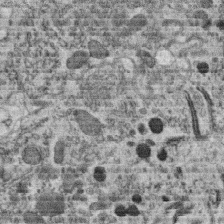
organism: C. elegans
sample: C. elegans oocyte; sperm cells